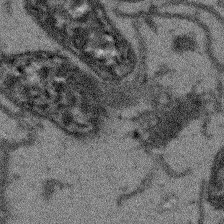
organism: Arabidopsis thaliana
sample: Root tip